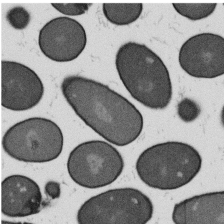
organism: B. subtilis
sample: Bacterial spore